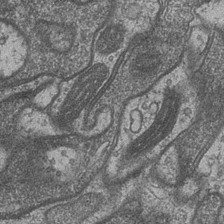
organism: Drosophila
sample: Optic medulla